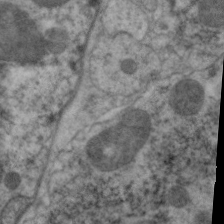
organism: C. elegans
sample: Pharynx